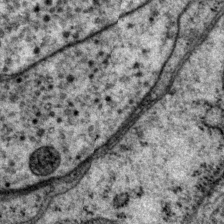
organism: P. pacificus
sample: Pharynx